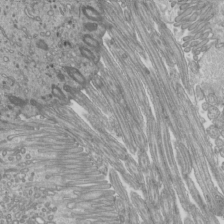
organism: Mouse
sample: Cilia; mouse epididymis